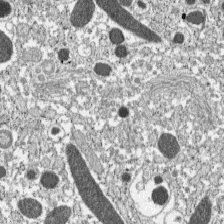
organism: C57BL Mouse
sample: Pancreatic islet